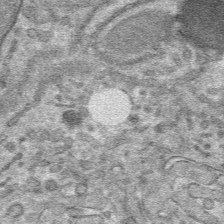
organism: Mouse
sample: Mouse hepatocytes